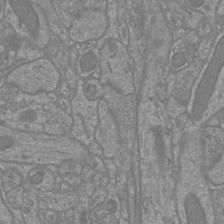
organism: Mouse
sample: Cortical neurons